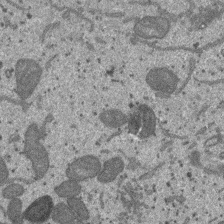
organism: Human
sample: Lung epithelial cells infected with SARS-CoV-2